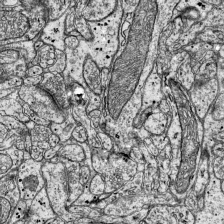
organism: Mouse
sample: Visual Cortex